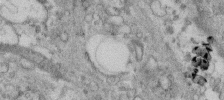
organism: Human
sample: Centriole in fibroblast cells